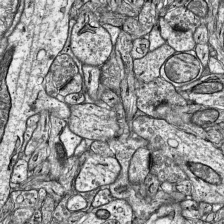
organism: Mouse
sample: Visual Cortex